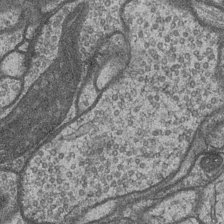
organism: Drosophila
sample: Optic medulla